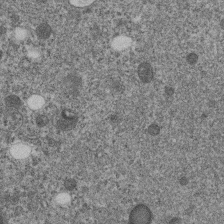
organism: C. elegans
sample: C. elegans embryo early stage